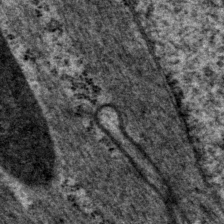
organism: P. pacificus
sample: Pharynx